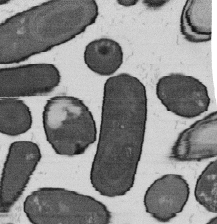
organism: B. subtilis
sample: Bacterial spore